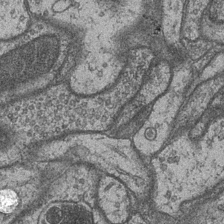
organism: Drosophila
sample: Optic medulla